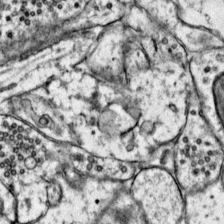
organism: Mouse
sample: Primary visual cortex